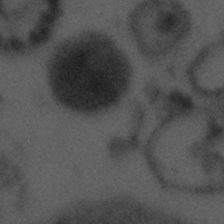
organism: Tuwongella immobilis